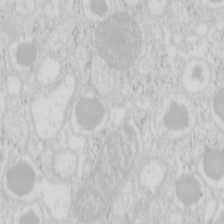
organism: Mouse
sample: Pancreas